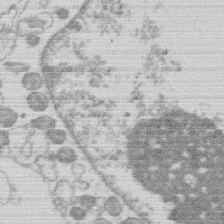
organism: Human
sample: Macrophage cells